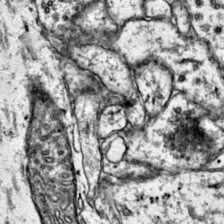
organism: Mouse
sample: Primary visual cortex